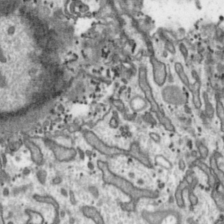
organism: Toxoplasma gondii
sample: Parasites in a vacuole inside a host cell